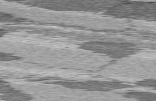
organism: C57BL Mouse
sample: Heart